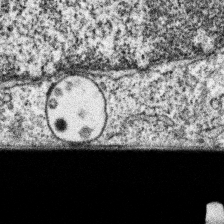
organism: Human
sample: HeLa cells